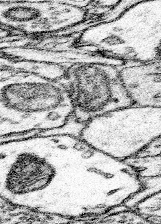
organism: Mouse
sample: Somatosensory cortex neuropil